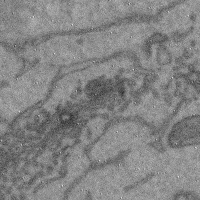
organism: Mouse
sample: Cerebral cortex